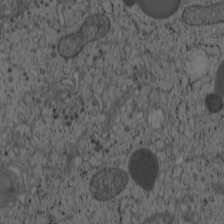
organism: African green monkey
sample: COS-7 cells